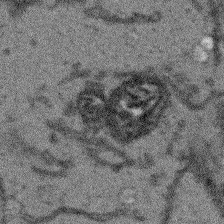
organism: Arabidopsis thaliana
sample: Root tip